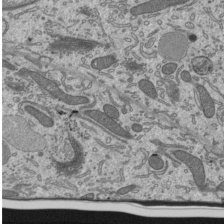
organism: Mouse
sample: Mouse epididymis efferent ductule cilia